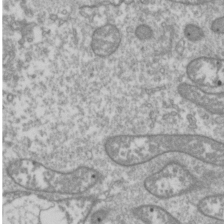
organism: Drosophila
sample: Cell division; meiosis; drosophila spermatocytes